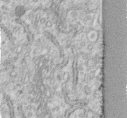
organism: Human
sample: Centriole in fibroblast cells